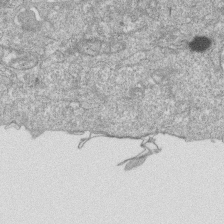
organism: Human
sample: HeLa cell HIV synapse